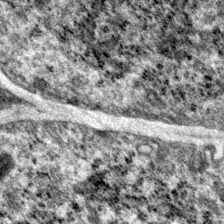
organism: P. pacificus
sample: Pharynx